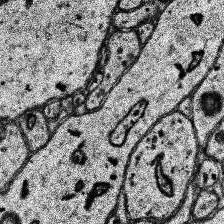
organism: Human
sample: Temporal Lobe